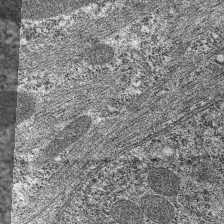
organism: C. elegans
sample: Pharynx